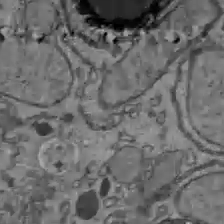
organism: C57BL Mouse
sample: Liver